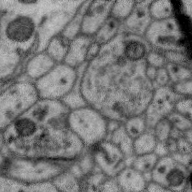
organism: Zebra finch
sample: Brain